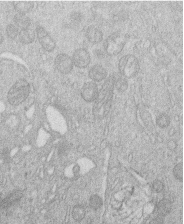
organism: Human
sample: Macrophage cells